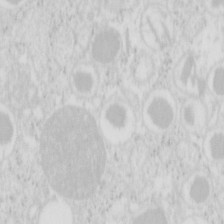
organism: Mouse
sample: Pancreas